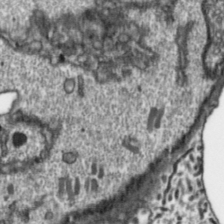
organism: Toxoplasma gondii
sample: Parasites in a vacuole inside a host cell